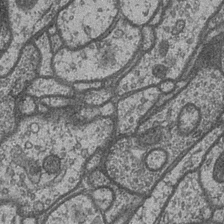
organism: Drosophila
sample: Optic medulla